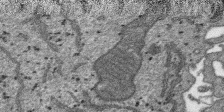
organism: Human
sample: Lung epithelial cells infected with SARS-CoV-2